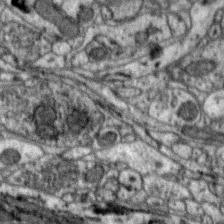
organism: Zebra finch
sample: Brain